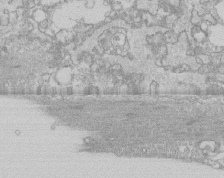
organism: Human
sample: CRL-1474